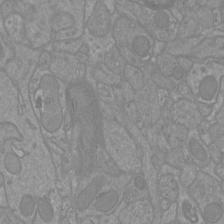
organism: Mouse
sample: Cortical neurons